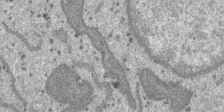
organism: Human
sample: Lung epithelial cells infected with SARS-CoV-2